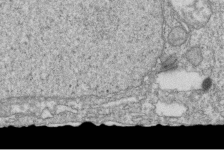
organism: Human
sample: HeLa cell HIV synapse